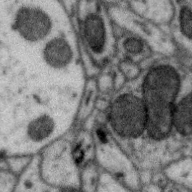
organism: Zebra finch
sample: Brain